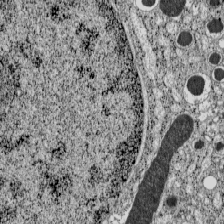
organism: C57BL Mouse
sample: Pancreatic islet